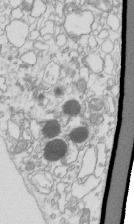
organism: Mouse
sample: Macrophages